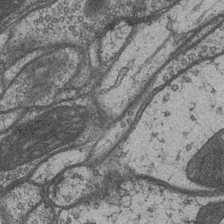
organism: Drosophila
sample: Optic medulla